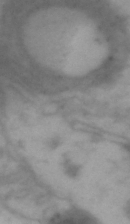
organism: Drosophila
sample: Brain